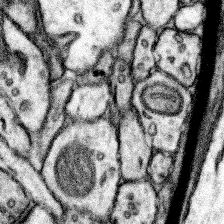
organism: Mouse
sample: Somatosensory cortex neuropil